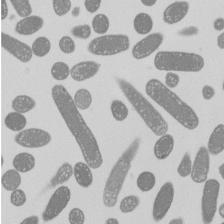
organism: E. coli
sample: Bacterial nucleoid